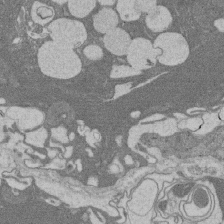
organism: Rat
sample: Salivary granule